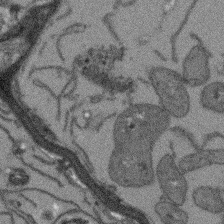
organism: Arabidopsis thaliana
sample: Root tip